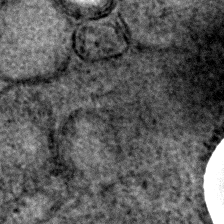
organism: C. elegans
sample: C. elegans embryo